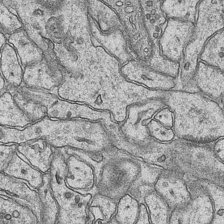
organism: Mouse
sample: CA1 Hippocampus